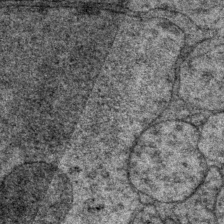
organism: P. pacificus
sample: Pharynx